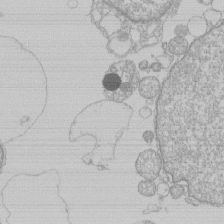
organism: Human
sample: Macrophage cells